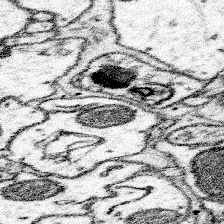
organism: Mouse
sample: Somatosensory cortex neuropil